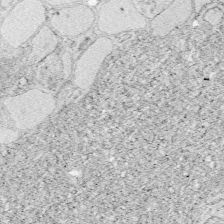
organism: Zebrafish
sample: Whole-Brain